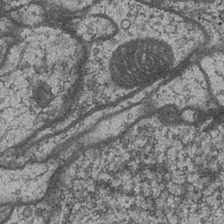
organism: Drosophila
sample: Optic medulla